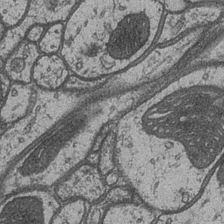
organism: Drosophila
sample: Optic medulla